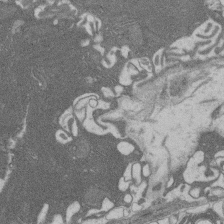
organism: Rat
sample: Salivary granule